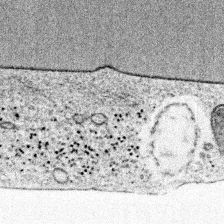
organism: Human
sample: HeLa cells